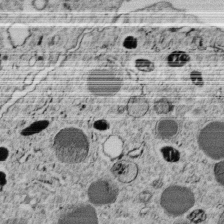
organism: C. elegans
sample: C. elegans embryo early stage